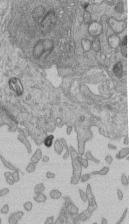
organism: Human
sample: Retinal organoid Rod and Cone cells